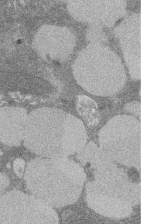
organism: Rat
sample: Salivary granule